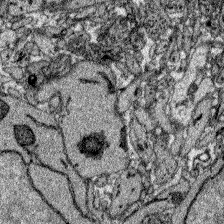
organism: Zebrafish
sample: Larval olfactory bulb